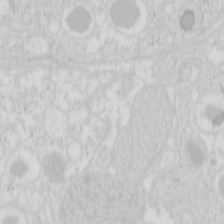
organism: Mouse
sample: Pancreas